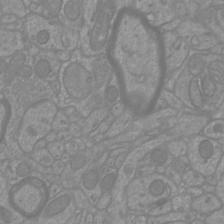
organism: Mouse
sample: Cortical neurons